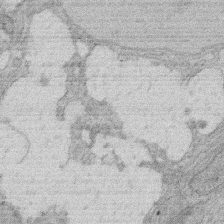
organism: Rat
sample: Salivary granule